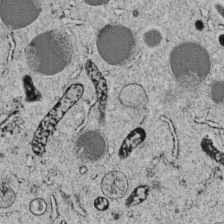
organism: C. elegans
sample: C. elegans embryo early stage